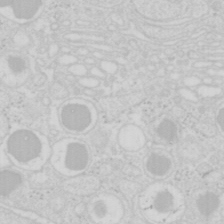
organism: Mouse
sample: Pancreas